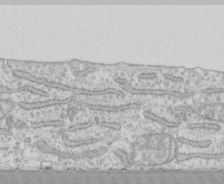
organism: Human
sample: CRL-1474